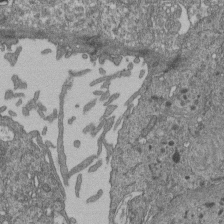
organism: Human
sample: Retinal organoid Rod and Cone cells